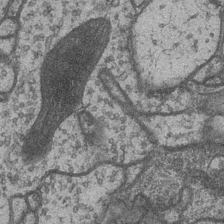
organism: Drosophila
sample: Optic medulla